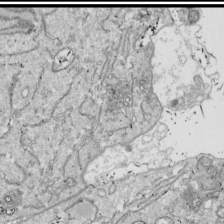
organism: Drosophila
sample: Cell division; meiosis; drosophila spermatocytes